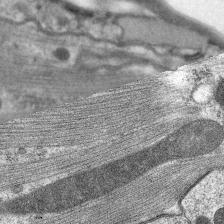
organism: C. elegans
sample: Pharynx